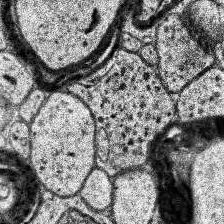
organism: Human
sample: Temporal Lobe